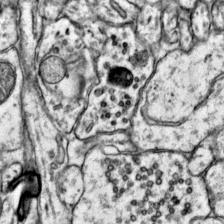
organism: Mouse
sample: Primary visual cortex